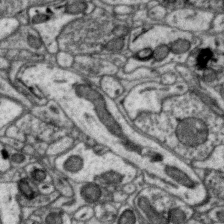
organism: Zebra finch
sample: Brain